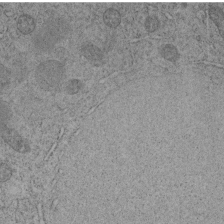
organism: C. elegans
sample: C. elegans embryo early stage